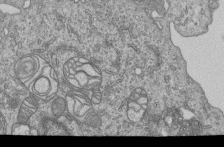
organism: Human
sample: MDA-MB-231 cells